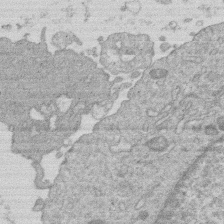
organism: Human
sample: Macrophage cells